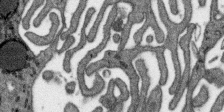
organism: Human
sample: Lung epithelial cells, uninfected (mock) control